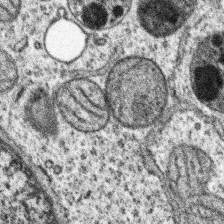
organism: Human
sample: HeLa cells